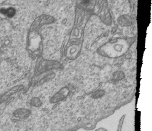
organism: Human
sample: MDA-MB-231 cells